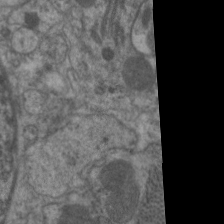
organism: C. elegans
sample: Pharynx